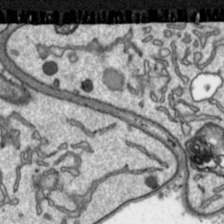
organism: Toxoplasma gondii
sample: Parasites in a vacuole inside a host cell